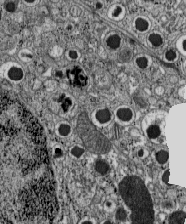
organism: C57BL Mouse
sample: Pancreatic islet